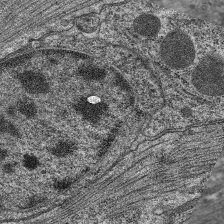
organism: C. elegans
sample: Pharynx